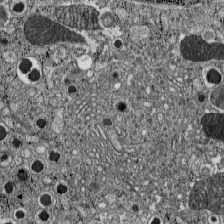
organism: C57BL Mouse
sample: Pancreatic islet